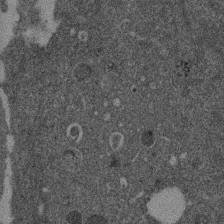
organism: Mouse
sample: Dividing mouse embryo 1 cell stage